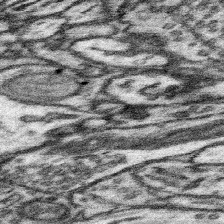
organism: Mouse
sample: Somatosensory cortex neuropil